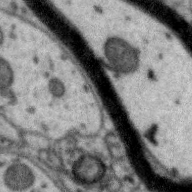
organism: Zebra finch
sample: Brain